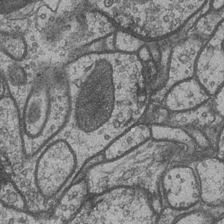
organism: Drosophila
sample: Optic medulla